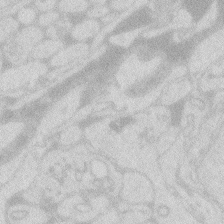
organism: Zebrafish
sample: Macrophage